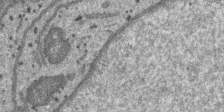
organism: Human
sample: Lung epithelial cells infected with SARS-CoV-2